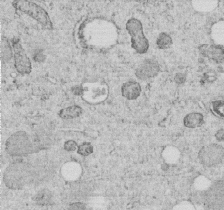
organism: C. elegans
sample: C. elegans embryo early stage